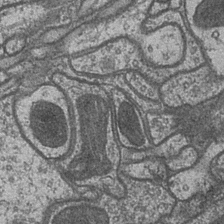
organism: Drosophila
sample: Optic medulla